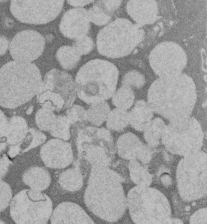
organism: Rat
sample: Salivary granule